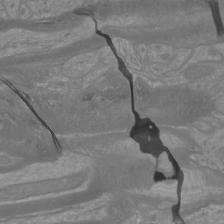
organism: Mouse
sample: Cortical neurons